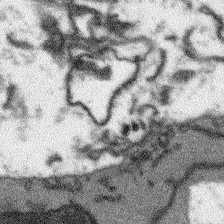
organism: Arabidopsis thaliana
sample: Root tip